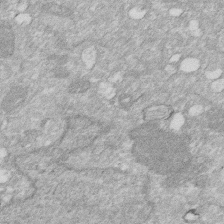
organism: Human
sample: HIV infected U937 cells